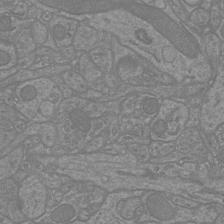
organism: Mouse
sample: Cortical neurons